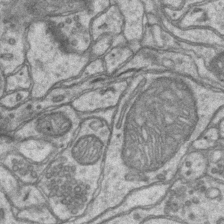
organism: Mouse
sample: CA1 Hippocampus